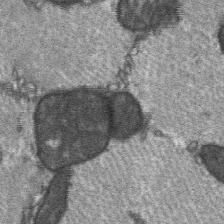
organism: C57BL Mouse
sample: Soleus